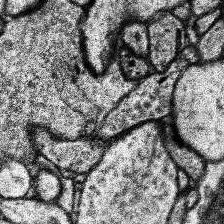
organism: Human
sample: Temporal Lobe